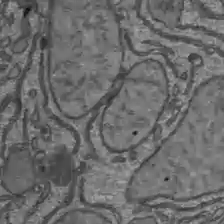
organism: C57BL Mouse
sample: Liver